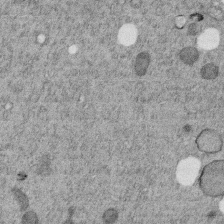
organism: C. elegans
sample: C. elegans embryo early stage